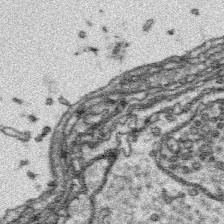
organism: Platynereis dumerilii